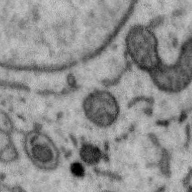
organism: Zebra finch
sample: Brain